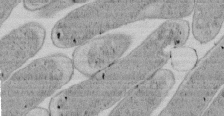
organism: E. coli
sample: Bacterial nucleoid